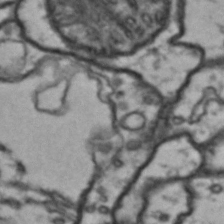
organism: Drosophila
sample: Brain